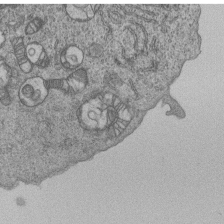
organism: Human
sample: MDA-MB-231 cells